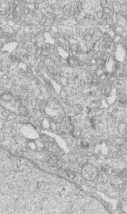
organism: Human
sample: HeLa cell HIV synapse